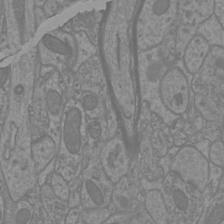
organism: Mouse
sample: Cortical neurons